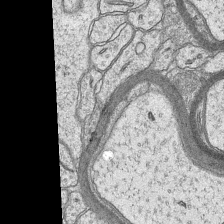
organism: Mouse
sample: CA1 Hippocampus